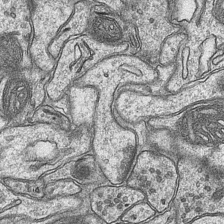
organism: Mouse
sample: CA1 Hippocampus